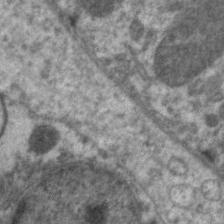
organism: C. elegans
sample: Pharynx